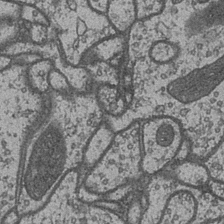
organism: Drosophila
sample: Optic medulla